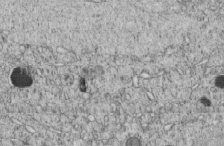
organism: C. elegans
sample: C. elegans embryo early stage